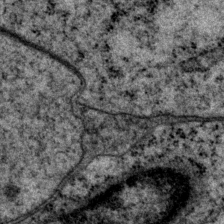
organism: P. pacificus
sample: Pharynx